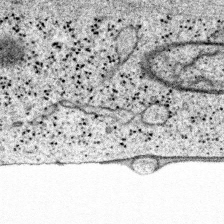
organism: Human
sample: HeLa cells